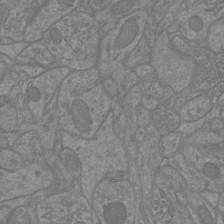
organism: Mouse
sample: Cortical neurons